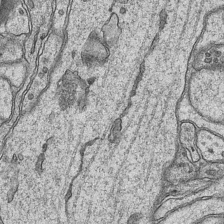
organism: Mouse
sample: CA1 Hippocampus